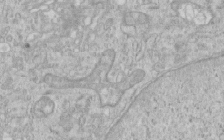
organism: Human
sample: Centriole in RPE cells